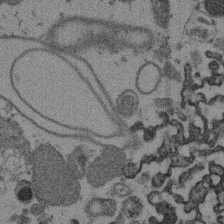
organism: Mouse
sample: Dividing mouse embryo 1 cell stage